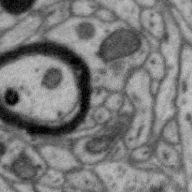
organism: Zebra finch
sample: Brain